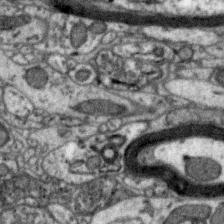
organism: Zebra finch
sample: Brain